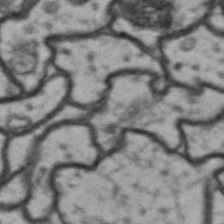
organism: Drosophila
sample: Brain